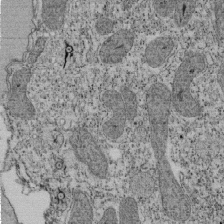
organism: Tetrahymena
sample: Cilia in tetrahymena